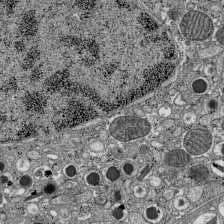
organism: C57BL Mouse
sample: Pancreatic islet